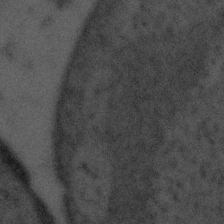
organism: Tuwongella immobilis